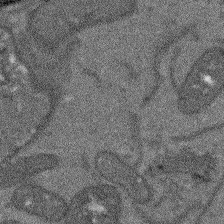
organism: Arabidopsis thaliana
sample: Root tip